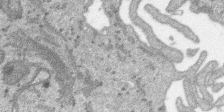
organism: Human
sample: Lung epithelial cells infected with SARS-CoV-2